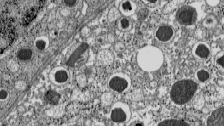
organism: C57BL Mouse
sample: Pancreatic islet